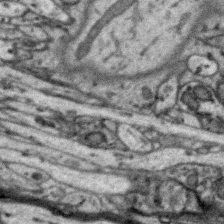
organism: Zebra finch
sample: Brain